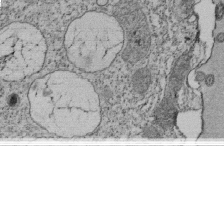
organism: Tetrahymena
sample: Cilia in tetrahymena